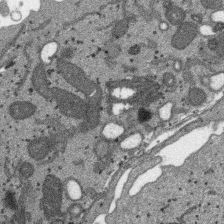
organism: Human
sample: Lung epithelial cells infected with SARS-CoV-2